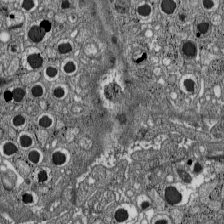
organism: C57BL Mouse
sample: Pancreatic islet